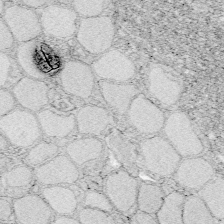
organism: Zebrafish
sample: Whole-Brain